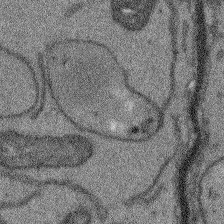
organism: Arabidopsis thaliana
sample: Root tip